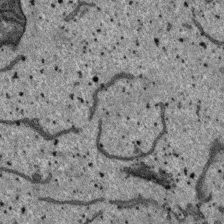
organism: Human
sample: Lung epithelial cells, uninfected (mock) control